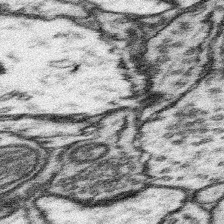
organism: Mouse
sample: Somatosensory cortex neuropil